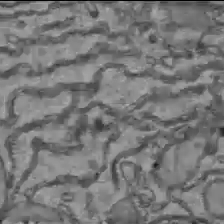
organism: C57BL Mouse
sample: Liver